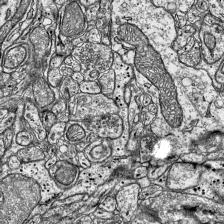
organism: Mouse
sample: Visual Cortex